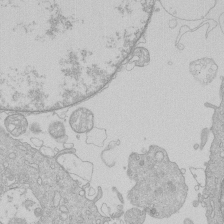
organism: Human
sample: Macrophage cells